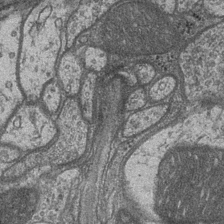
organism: Drosophila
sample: Optic medulla